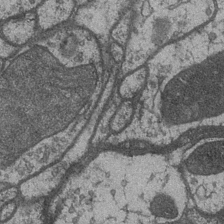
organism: Drosophila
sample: Optic medulla